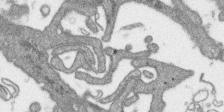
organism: Human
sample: Lung epithelial cells infected with SARS-CoV-2